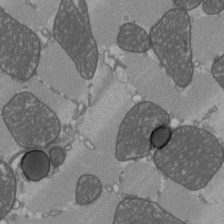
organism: C57BL Mouse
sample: Heart